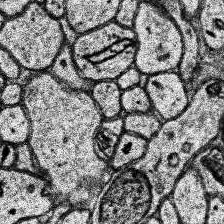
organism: Human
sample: Temporal Lobe